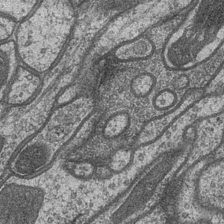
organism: Drosophila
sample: Optic medulla